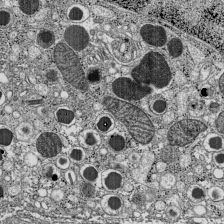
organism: C57BL Mouse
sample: Pancreatic islet